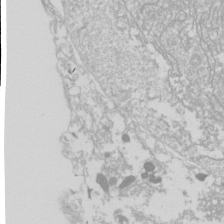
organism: Drosophila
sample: Cell division; meiosis; drosophila spermatocytes